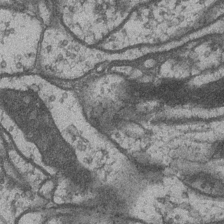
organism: Drosophila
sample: Optic medulla